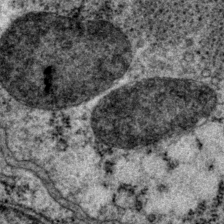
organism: P. pacificus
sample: Pharynx